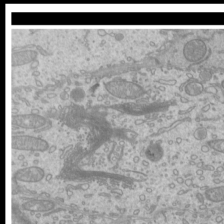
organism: Mouse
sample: Cilia; mouse epididymis